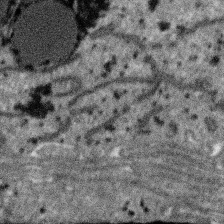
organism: Human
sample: Lung epithelial cells infected with SARS-CoV-2